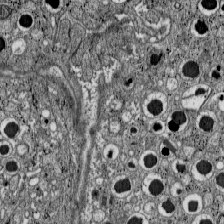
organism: C57BL Mouse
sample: Pancreatic islet